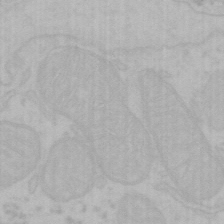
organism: Mouse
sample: Choroid plexus